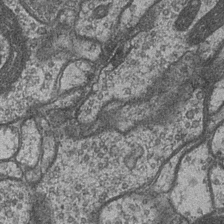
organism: Drosophila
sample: Optic medulla